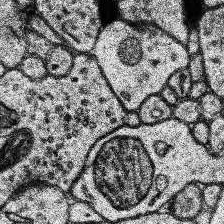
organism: Human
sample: Temporal Lobe